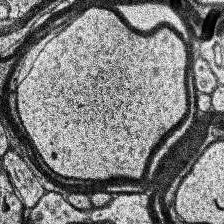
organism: Human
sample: Temporal Lobe